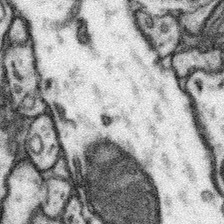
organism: Mouse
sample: Somatosensory cortex neuropil